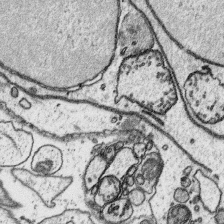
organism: Platynereis dumerilii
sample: Parapodia